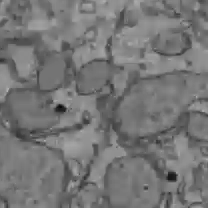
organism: C57BL Mouse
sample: Liver